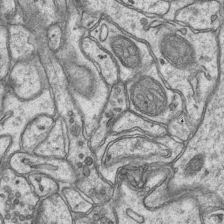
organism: Mouse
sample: CA1 Hippocampus